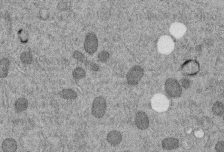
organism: C. elegans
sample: C. elegans embryo early stage